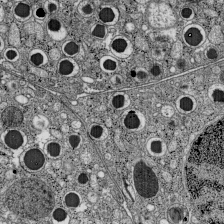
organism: C57BL Mouse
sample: Pancreatic islet